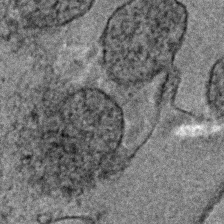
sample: Trachea